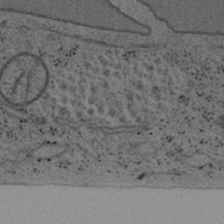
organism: Human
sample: HeLa cells